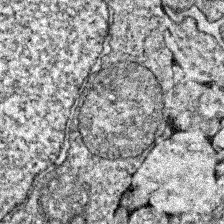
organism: Zebrafish